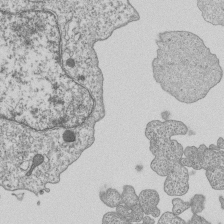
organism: Human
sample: MDA-MB-231 cells